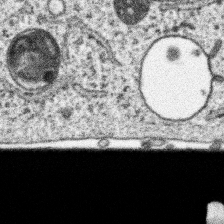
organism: Human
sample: HeLa cells